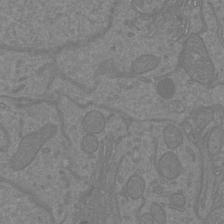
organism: Mouse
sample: Cortical neurons